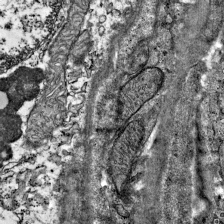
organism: Mouse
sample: Visual Cortex